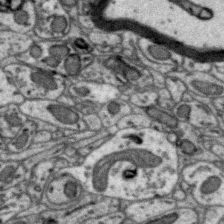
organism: Zebra finch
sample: Brain